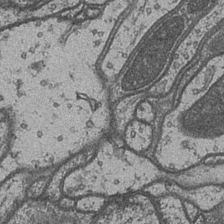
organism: Drosophila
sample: Optic medulla